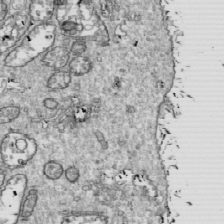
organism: Drosophila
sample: Cell division; meiosis; drosophila spermatocytes